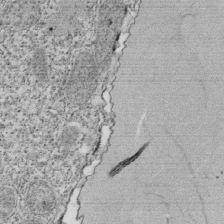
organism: Tetrahymena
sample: Cilia in tetrahymena